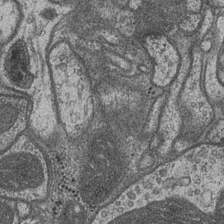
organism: Drosophila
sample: Optic medulla